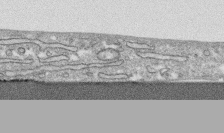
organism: Human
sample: CRL-1474